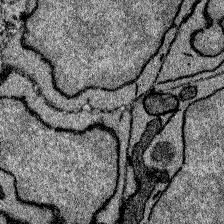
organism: Zebrafish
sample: Larval olfactory bulb